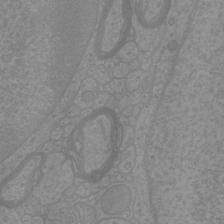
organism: Mouse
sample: Cortical neurons